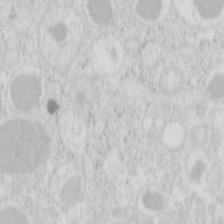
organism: Mouse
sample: Pancreas